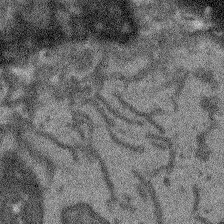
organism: Arabidopsis thaliana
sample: Root tip